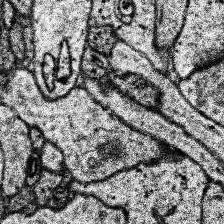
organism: Human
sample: Temporal Lobe